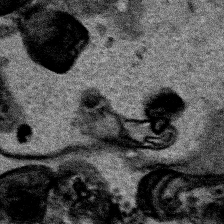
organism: Human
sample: Mitochondria in HCT116 cells